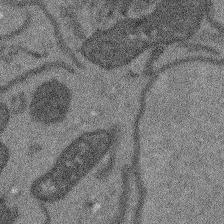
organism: Arabidopsis thaliana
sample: Root tip